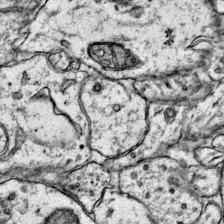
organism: Mouse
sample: Primary visual cortex